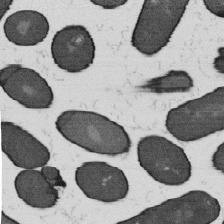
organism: B. subtilis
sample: Bacterial spore